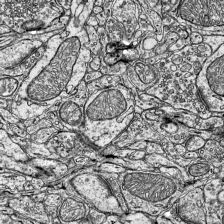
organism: Mouse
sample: Visual Cortex